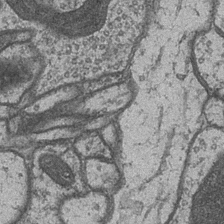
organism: Drosophila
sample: Optic medulla